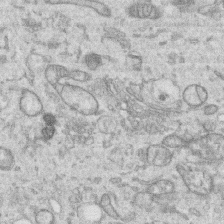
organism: Human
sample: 1205lu cells